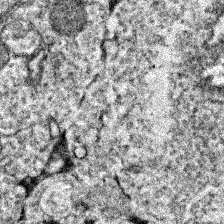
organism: Zebrafish